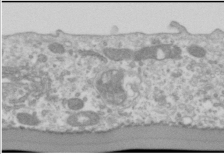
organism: Human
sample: Cilia; basal body in RPE cells